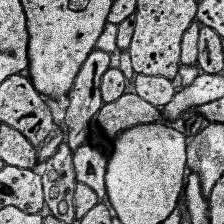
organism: Human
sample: Temporal Lobe